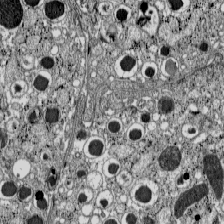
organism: C57BL Mouse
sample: Pancreatic islet